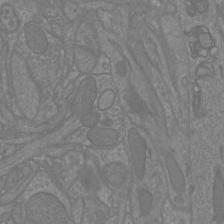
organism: Mouse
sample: Cortical neurons